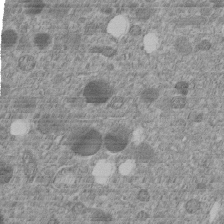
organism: C. elegans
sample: C. elegans embryo early stage